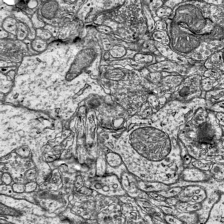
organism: Mouse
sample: Visual Cortex